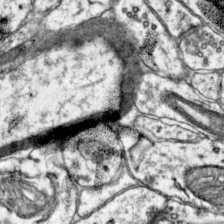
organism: Mouse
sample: Primary visual cortex